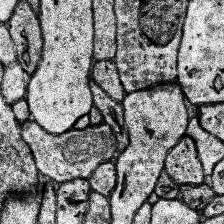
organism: Human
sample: Temporal Lobe